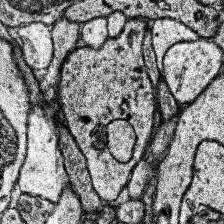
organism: Human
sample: Temporal Lobe